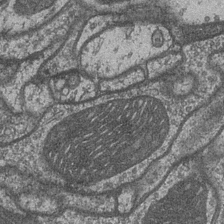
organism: Drosophila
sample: Optic medulla